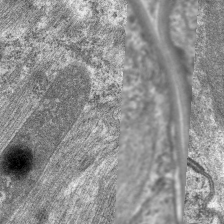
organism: C. elegans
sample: Pharynx